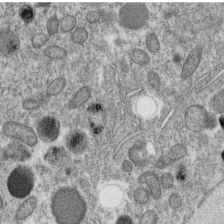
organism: C. elegans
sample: C. elegans oocyte; sperm cells